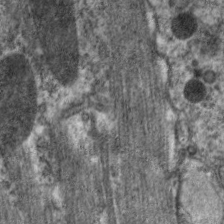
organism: C. elegans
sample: Pharynx